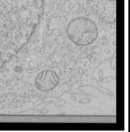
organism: Human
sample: Mitochondria in HCT116 cells